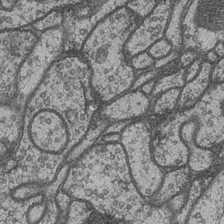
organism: Drosophila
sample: Optic medulla